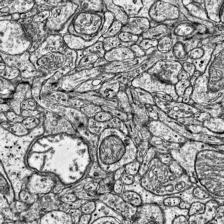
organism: Mouse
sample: Visual Cortex